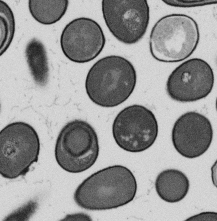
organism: B. subtilis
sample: Bacterial spore